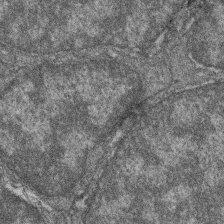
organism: Zebrafish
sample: Cilia; retinal pigment epithelium